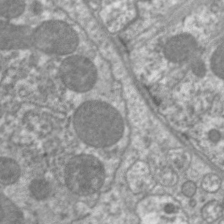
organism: C. elegans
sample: Pharynx